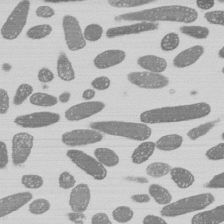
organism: E. coli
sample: Bacterial nucleoid